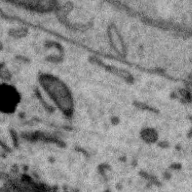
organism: Zebra finch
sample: Brain